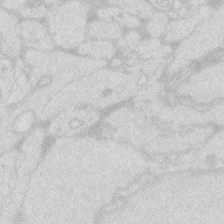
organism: Zebrafish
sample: Macrophage